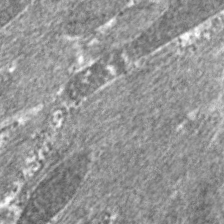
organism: C. elegans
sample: Pharynx